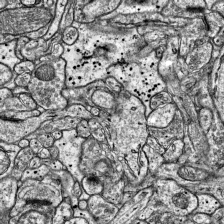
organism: Mouse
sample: Visual Cortex